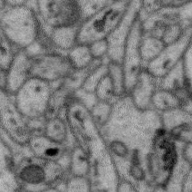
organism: Zebra finch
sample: Brain